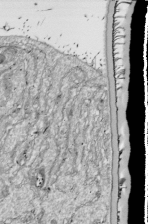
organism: Drosophila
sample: Cell division; meiosis; drosophila spermatocytes